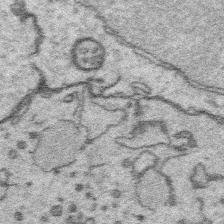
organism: Platynereis dumerilii